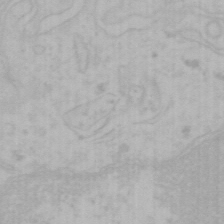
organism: Mouse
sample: Choroid plexus